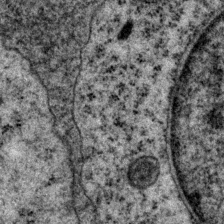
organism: P. pacificus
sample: Pharynx